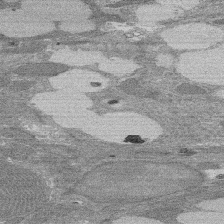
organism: Rat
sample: Salivary granule